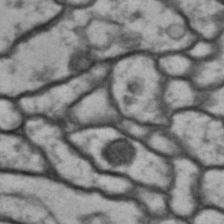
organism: Drosophila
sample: Brain